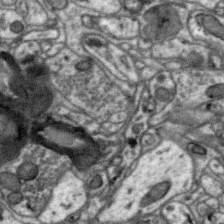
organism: Zebra finch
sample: Brain